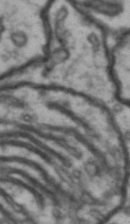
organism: Drosophila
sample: Brain